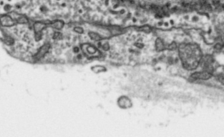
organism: Toxoplasma gondii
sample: Parasites in a vacuole inside a host cell